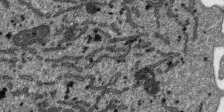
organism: Human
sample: Lung epithelial cells infected with SARS-CoV-2